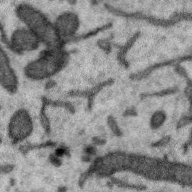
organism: Zebra finch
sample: Brain